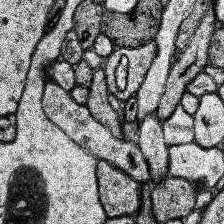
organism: Human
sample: Temporal Lobe